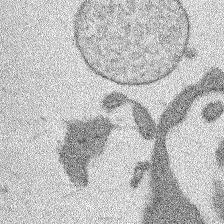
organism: Human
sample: HeLa cells